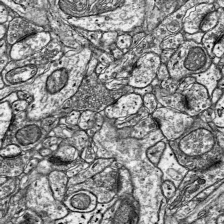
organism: Mouse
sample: Visual Cortex